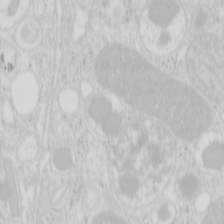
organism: Mouse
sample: Pancreas